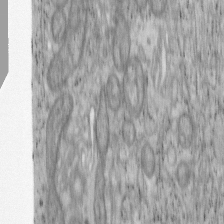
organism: Human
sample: HeLa cells